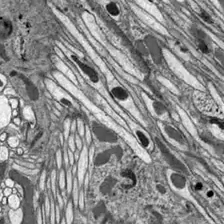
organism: Drosophila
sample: Optic lobe